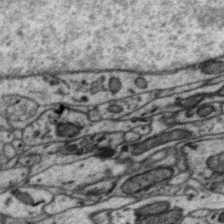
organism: Zebra finch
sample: Brain